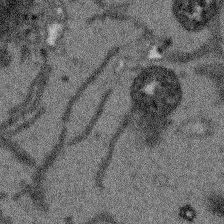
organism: Arabidopsis thaliana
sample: Root tip